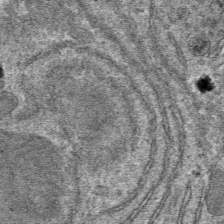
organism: Mouse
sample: Mouse hepatocytes